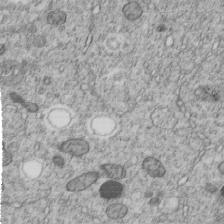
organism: C. elegans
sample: C. elegans embryo early stage